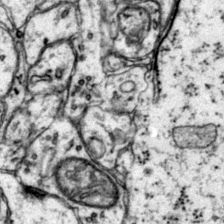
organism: Mouse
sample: Primary visual cortex